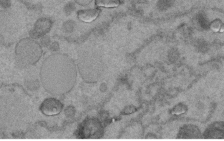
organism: C. elegans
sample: C. elegans embryo early stage